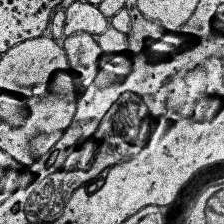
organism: Human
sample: Temporal Lobe